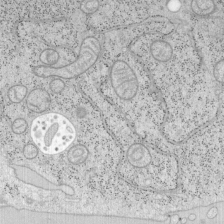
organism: Mouse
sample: OT-I killer T cells with ID8 ovarian cancer cells